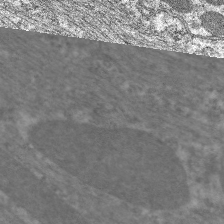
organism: C. elegans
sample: Pharynx